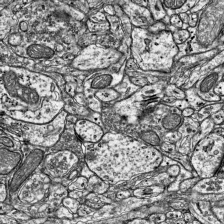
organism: Mouse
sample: Visual Cortex